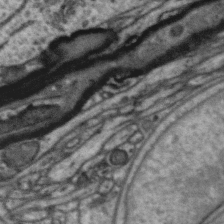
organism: Zebra finch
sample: Brain